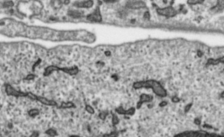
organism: Toxoplasma gondii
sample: Parasites in a vacuole inside a host cell